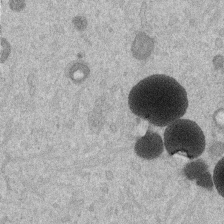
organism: Mouse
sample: Dividing mouse embryo 1 cell stage